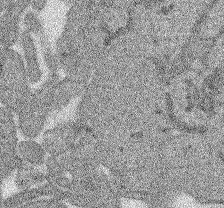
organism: Human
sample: HeLa cells